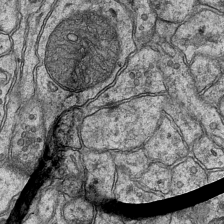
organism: Mouse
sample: CA1 Hippocampus